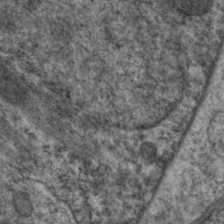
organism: C. elegans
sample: Pharynx